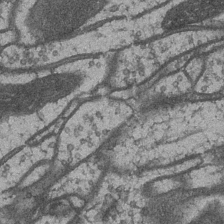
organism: Drosophila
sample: Optic medulla